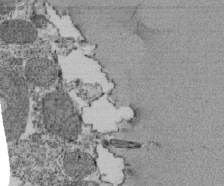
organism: Tetrahymena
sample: Cilia in tetrahymena